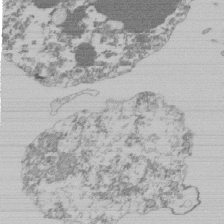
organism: Mouse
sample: Activated Pmel transgenic CD8+ T Cells